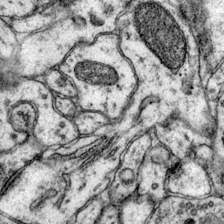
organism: Mouse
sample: Primary visual cortex